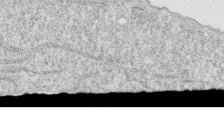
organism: Human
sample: HeLa cell HIV synapse